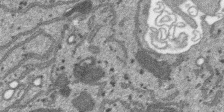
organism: Human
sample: Lung epithelial cells infected with SARS-CoV-2